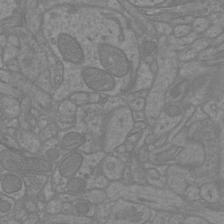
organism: Mouse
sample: Cortical neurons